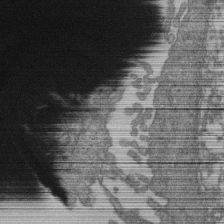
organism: Human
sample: Retinal organoid Rod and Cone cells